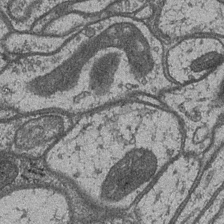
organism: Drosophila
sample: Optic medulla